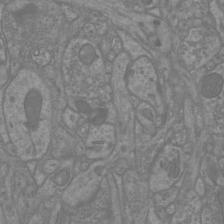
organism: Mouse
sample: Cortical neurons